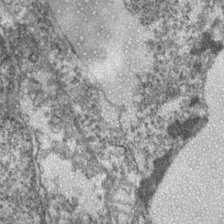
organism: Zebrafish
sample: Zebrafish embryo